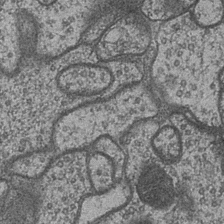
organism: Drosophila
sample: Optic medulla